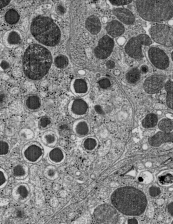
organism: C57BL Mouse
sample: Pancreatic islet